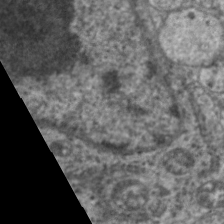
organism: C. elegans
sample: Pharynx